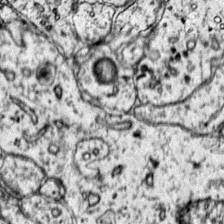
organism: Mouse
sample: Primary visual cortex